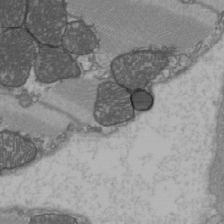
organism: C57BL Mouse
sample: Heart